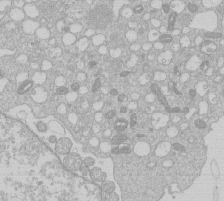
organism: Human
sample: Macrophage cells